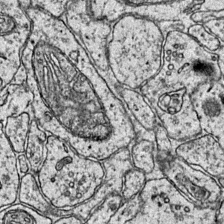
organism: Mouse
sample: Primary visual cortex